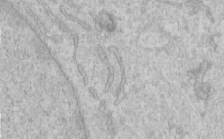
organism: Human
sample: Centriole in RPE cells